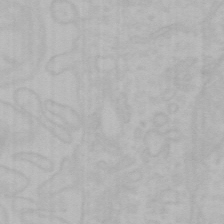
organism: Mouse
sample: Choroid plexus